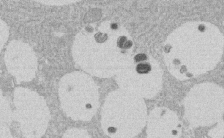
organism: Rat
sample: Salivary granule